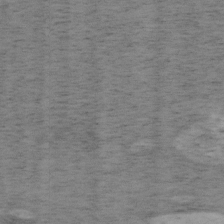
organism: Mouse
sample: OT-I killer T cells with ID8 ovarian cancer cells